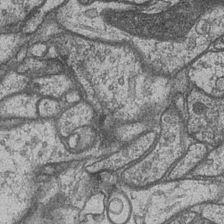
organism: Drosophila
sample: Optic medulla